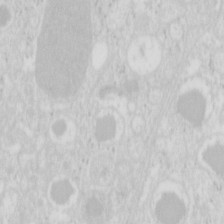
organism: Mouse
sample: Pancreas